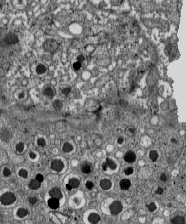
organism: C57BL Mouse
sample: Pancreatic islet